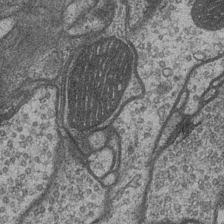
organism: Drosophila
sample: Optic medulla